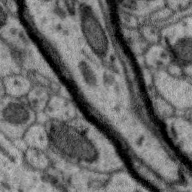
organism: Zebra finch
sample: Brain